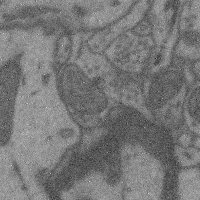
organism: Mouse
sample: Cerebral cortex